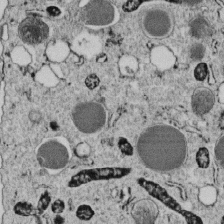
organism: C. elegans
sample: C. elegans embryo early stage